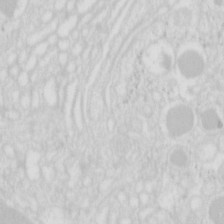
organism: Mouse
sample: Pancreas